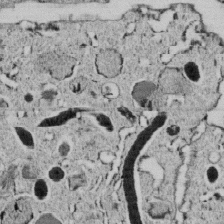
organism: C. elegans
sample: C. elegans embryo early stage